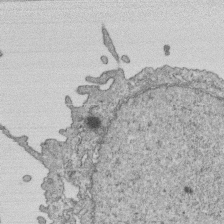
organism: Human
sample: HeLa cell HIV synapse